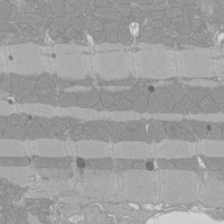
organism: Rat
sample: Left ventricle